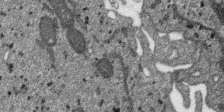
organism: Human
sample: Lung epithelial cells infected with SARS-CoV-2